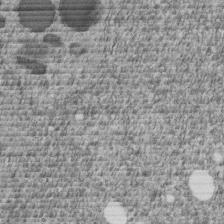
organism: C. elegans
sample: C. elegans embryo early stage